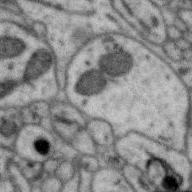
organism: Zebra finch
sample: Brain